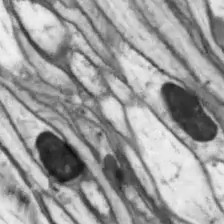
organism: Drosophila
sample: Optic lobe